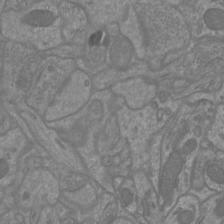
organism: Mouse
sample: Cortical neurons